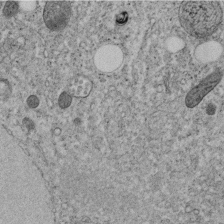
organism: C. elegans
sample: C. elegans embryo early stage